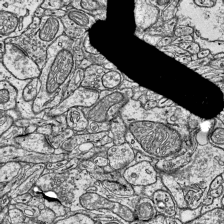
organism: Mouse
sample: Visual Cortex